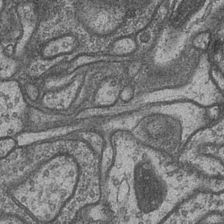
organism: Drosophila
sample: Optic medulla